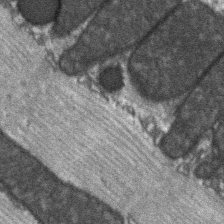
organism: C57BL Mouse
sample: Soleus